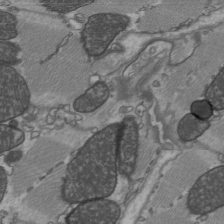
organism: C57BL Mouse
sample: Heart